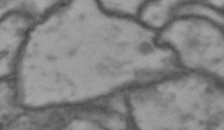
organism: Drosophila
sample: Brain